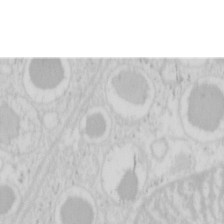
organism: Mouse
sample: Pancreas